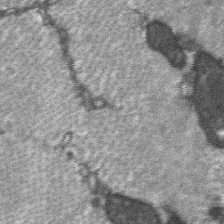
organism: C57BL Mouse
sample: Soleus